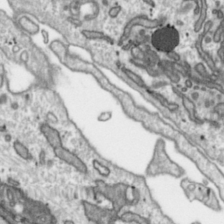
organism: Toxoplasma gondii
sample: Parasites in a vacuole inside a host cell